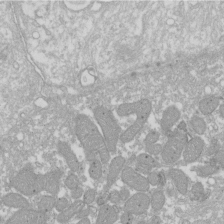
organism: Xenopus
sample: Cilia; centrioles in frog embryo cells